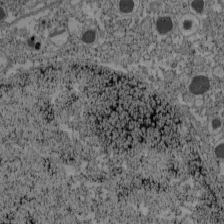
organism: C57BL Mouse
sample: Pancreatic islet